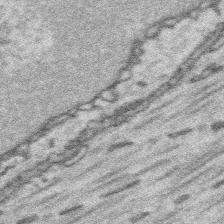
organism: Platynereis dumerilii